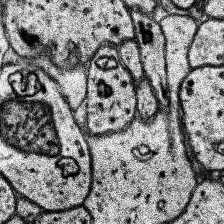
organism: Human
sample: Temporal Lobe